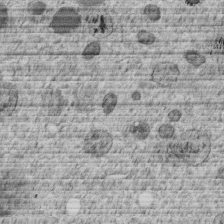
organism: C. elegans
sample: C. elegans embryo early stage